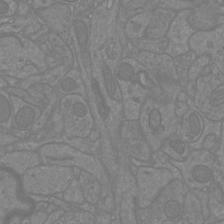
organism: Mouse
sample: Cortical neurons